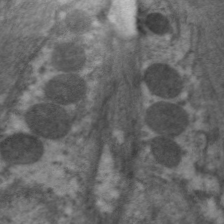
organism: C. elegans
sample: Pharynx